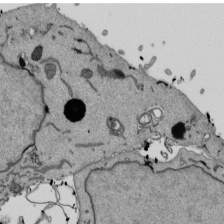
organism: Mouse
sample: ED-1 cell nuclei; centrioles